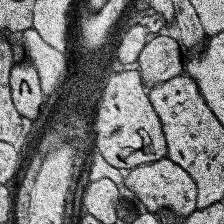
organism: Human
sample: Temporal Lobe